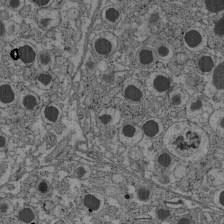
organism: C57BL Mouse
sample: Pancreatic islet